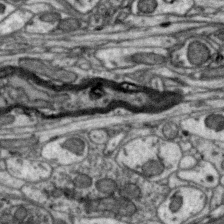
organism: Zebra finch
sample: Brain